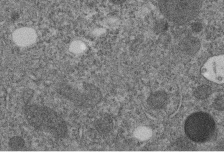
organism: C. elegans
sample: C. elegans embryo early stage